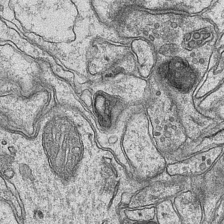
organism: Mouse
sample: CA1 Hippocampus